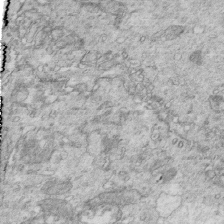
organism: Mouse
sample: Multiciliated cells